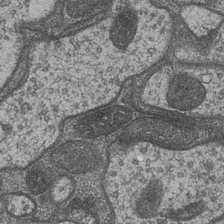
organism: Drosophila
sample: Optic medulla